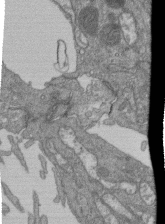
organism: Human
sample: Retinal organoid Rod and Cone cells